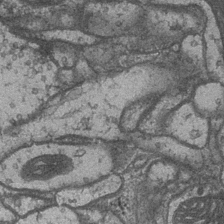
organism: Drosophila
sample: Optic medulla